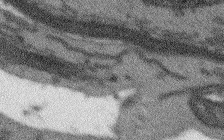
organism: Arabidopsis thaliana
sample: Root tip